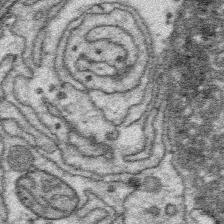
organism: Platynereis dumerilii